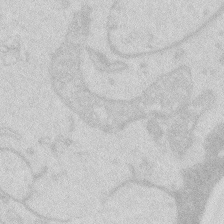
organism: Zebrafish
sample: Macrophage